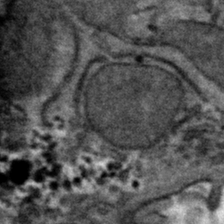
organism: Mouse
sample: Mouse hepatocytes